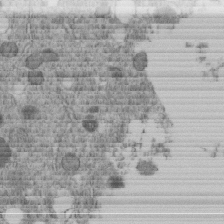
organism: C. elegans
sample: C. elegans embryo early stage